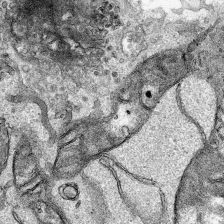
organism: Human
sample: Mitochondria in HCT116 cells